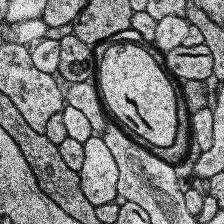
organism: Human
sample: Temporal Lobe